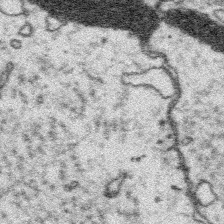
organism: Platynereis dumerilii